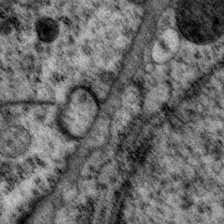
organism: P. pacificus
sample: Pharynx